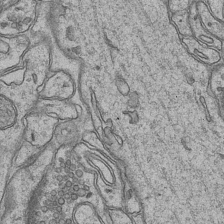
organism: Mouse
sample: CA1 Hippocampus